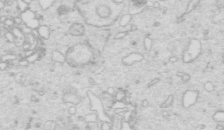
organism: Mouse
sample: Multiciliated cells